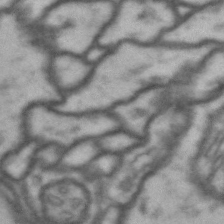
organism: Drosophila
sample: Brain